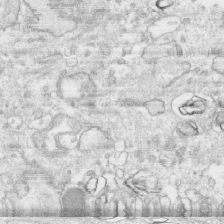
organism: Human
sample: CRL-1474